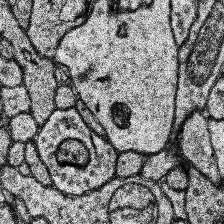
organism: Human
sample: Temporal Lobe